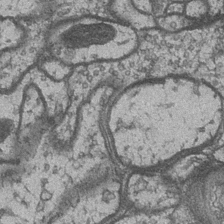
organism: Drosophila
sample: Optic medulla